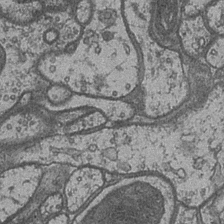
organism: Drosophila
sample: Optic medulla